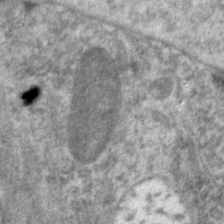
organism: C. elegans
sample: Pharynx